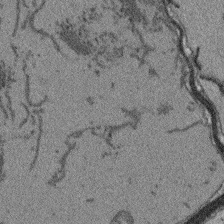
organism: Arabidopsis thaliana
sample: Root tip